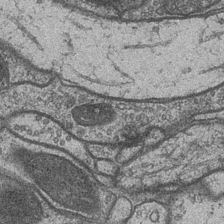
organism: Drosophila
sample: Optic medulla